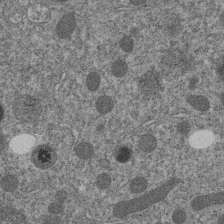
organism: C. elegans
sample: C. elegans embryo early stage